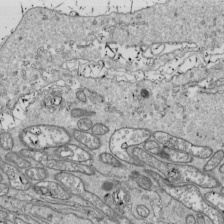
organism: Drosophila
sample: Cell division; meiosis; drosophila spermatocytes